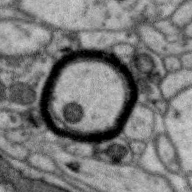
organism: Zebra finch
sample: Brain